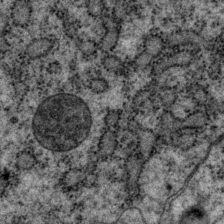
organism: P. pacificus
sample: Pharynx